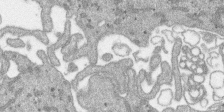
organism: Human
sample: Lung epithelial cells infected with SARS-CoV-2